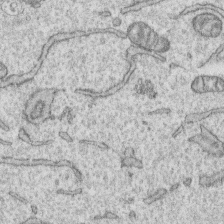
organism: Human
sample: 1205lu cells